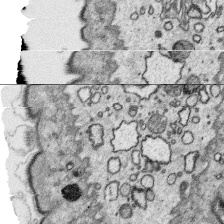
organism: Platynereis dumerilii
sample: Parapodia